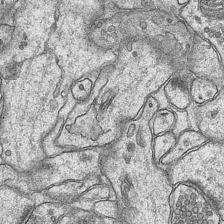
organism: Mouse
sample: CA1 Hippocampus